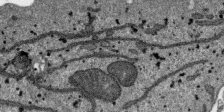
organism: Human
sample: Lung epithelial cells, uninfected (mock) control